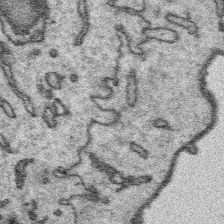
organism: Platynereis dumerilii